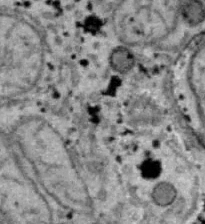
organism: Mouse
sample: Liver from an obese (ob/ob) mouse